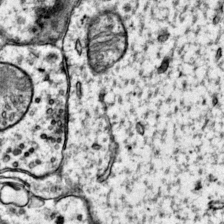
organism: Mouse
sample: Primary visual cortex